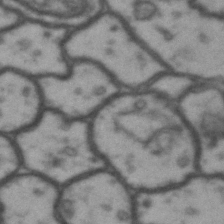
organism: Drosophila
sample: Brain